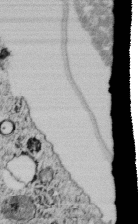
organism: C. elegans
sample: C. elegans embryo early stage